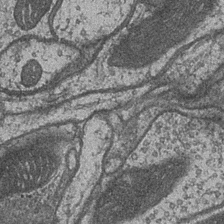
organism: Drosophila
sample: Optic medulla